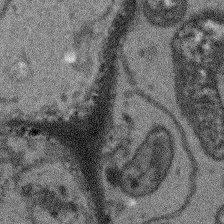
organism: Arabidopsis thaliana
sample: Root tip